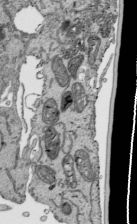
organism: Human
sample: Mitochondria in HCT116 cells